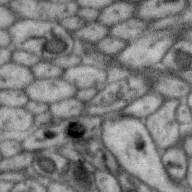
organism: Zebra finch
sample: Brain